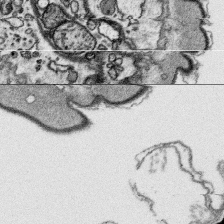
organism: Platynereis dumerilii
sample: Parapodia